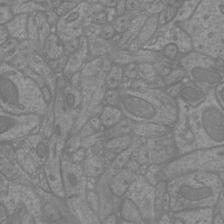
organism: Mouse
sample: Cortical neurons